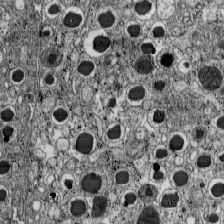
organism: C57BL Mouse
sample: Pancreatic islet